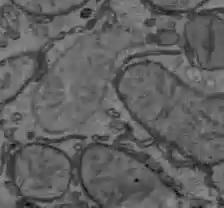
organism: C57BL Mouse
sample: Liver